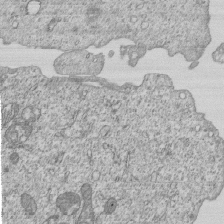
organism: Human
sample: MDA-MB-231 cells